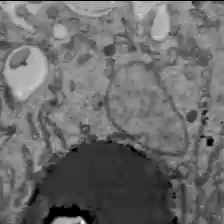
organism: C57BL Mouse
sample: Liver